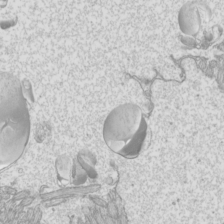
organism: Mouse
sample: Cilia; mouse epididymis